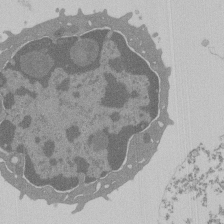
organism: Mouse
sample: Activated Pmel transgenic CD8+ T Cells